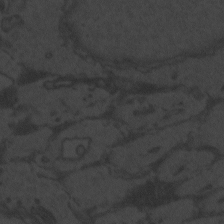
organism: Zebrafish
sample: Macrophage infected with Toxoplasma gondii